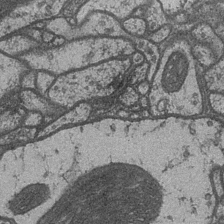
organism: Drosophila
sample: Optic medulla